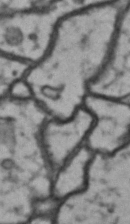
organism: Drosophila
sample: Brain